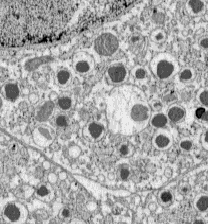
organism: C57BL Mouse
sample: Pancreatic islet